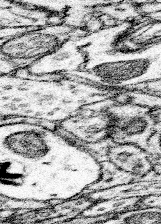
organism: Mouse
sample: Somatosensory cortex neuropil